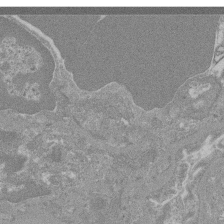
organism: Mouse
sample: Glomerulus